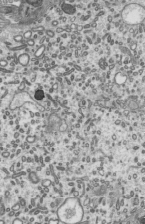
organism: Mouse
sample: Mouse epididymis efferent ductule cilia